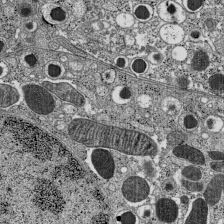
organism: C57BL Mouse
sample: Pancreatic islet